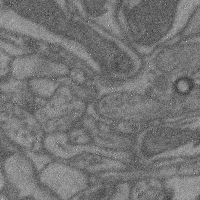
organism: Mouse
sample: Cerebral cortex